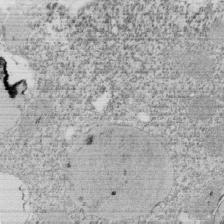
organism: Tetrahymena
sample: Cilia in tetrahymena